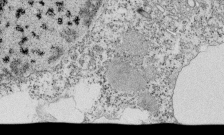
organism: Tetrahymena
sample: Cilia in tetrahymena